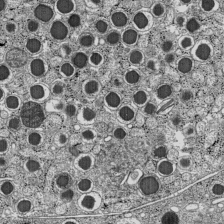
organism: C57BL Mouse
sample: Pancreatic islet